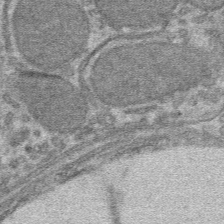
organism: Mouse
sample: Mouse hepatocytes